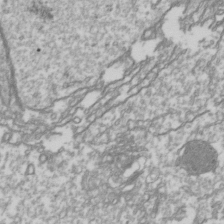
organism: Drosophila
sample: Cell division; meiosis; drosophila spermatocytes